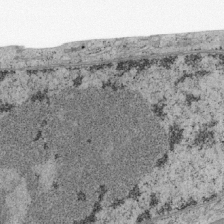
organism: Human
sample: HeLa cells